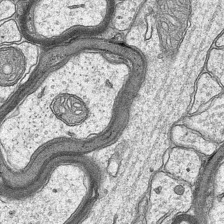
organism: Mouse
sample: CA1 Hippocampus